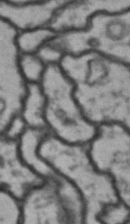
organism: Drosophila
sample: Brain